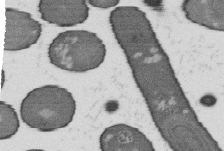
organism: B. subtilis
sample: Bacterial spore